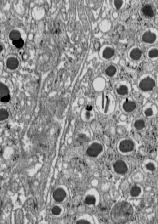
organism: C57BL Mouse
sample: Pancreatic islet